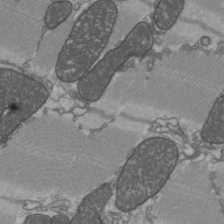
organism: C57BL Mouse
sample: Heart